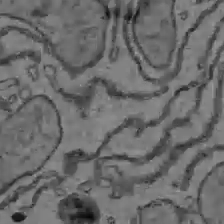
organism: C57BL Mouse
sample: Liver